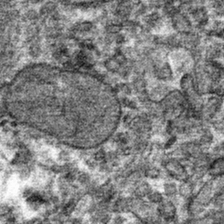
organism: Mouse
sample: Mouse hepatocytes